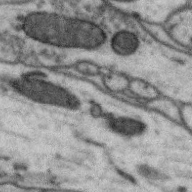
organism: Zebra finch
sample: Brain